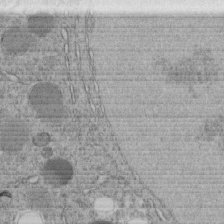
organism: C. elegans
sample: C. elegans embryo early stage